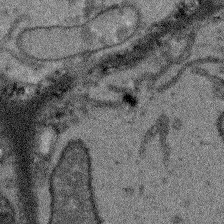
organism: Arabidopsis thaliana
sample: Root tip